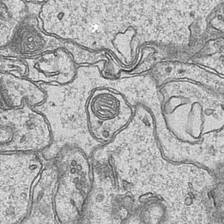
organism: Mouse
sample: CA1 Hippocampus